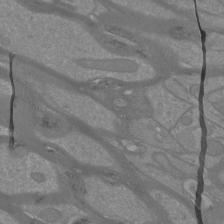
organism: Mouse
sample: Cortical neurons